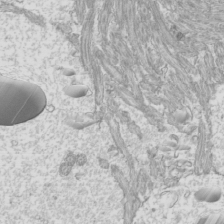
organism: Mouse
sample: Cilia; mouse epididymis